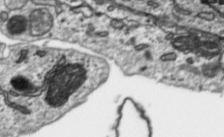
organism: Toxoplasma gondii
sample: Parasites in a vacuole inside a host cell